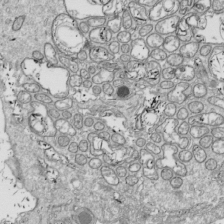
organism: Drosophila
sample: Cell division; meiosis; drosophila spermatocytes